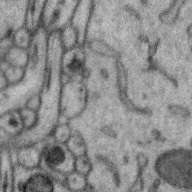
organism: Zebra finch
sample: Brain